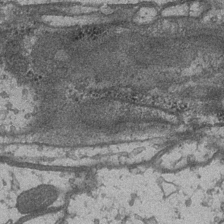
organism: Drosophila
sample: Optic medulla